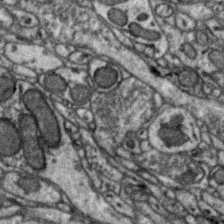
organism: Zebra finch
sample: Brain